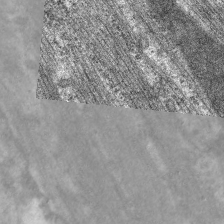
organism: C. elegans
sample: Pharynx